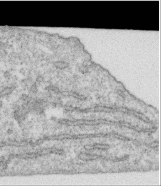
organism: Human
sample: Centriole in RPE cells